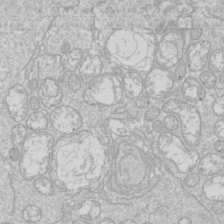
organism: Drosophila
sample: Cell division; meiosis; drosophila spermatocytes